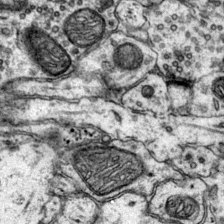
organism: Mouse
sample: Primary visual cortex